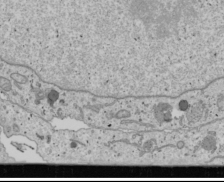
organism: Human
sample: Mitochondria in U2OS cells